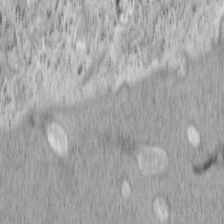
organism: Human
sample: HeLa cells